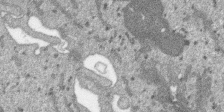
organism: Human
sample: Lung epithelial cells infected with SARS-CoV-2